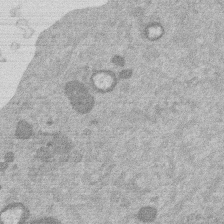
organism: Mouse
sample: Dividing mouse embryo 1 cell stage